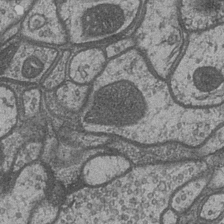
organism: Drosophila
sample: Optic medulla